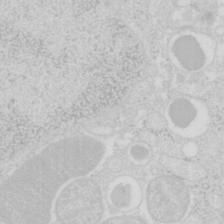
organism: Mouse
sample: Pancreas